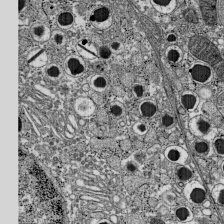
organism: C57BL Mouse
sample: Pancreatic islet